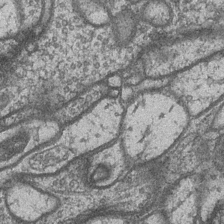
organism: Drosophila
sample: Optic medulla